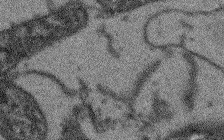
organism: Arabidopsis thaliana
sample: Root tip